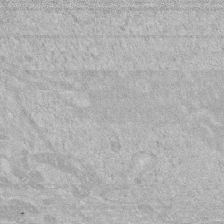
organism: Human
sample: HIV infected U937 cells